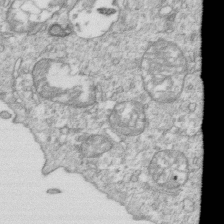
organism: Mouse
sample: Activated OT-1 CD8+ T cells